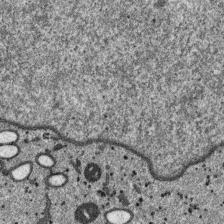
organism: Human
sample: Lung epithelial cells infected with SARS-CoV-2